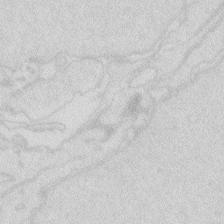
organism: Zebrafish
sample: Macrophage